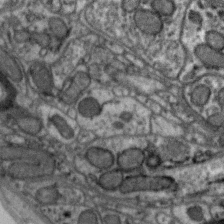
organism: Zebra finch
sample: Brain